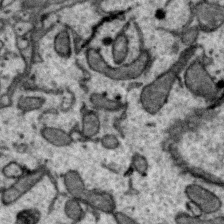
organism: Zebra finch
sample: Brain